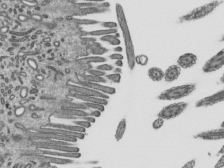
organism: Mouse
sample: Mouse epididymis efferent ductule cilia